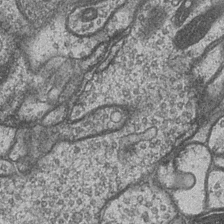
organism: Drosophila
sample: Optic medulla